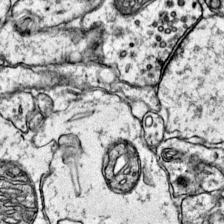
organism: Mouse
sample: Primary visual cortex